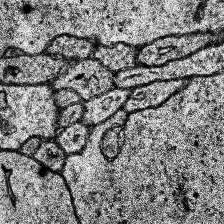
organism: Human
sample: Temporal Lobe